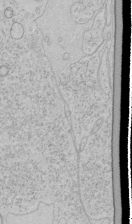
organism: Human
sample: Mitochondria in HCT116 cells